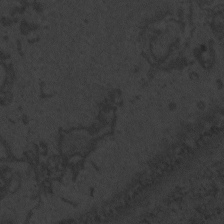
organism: Zebrafish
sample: Macrophage infected with Toxoplasma gondii